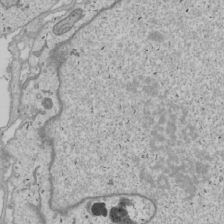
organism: Human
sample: Mitochondria in U2OS cells